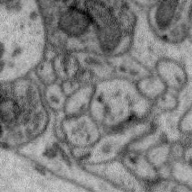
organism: Zebra finch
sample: Brain